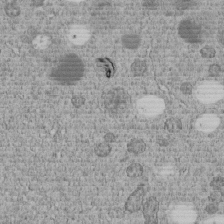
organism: C. elegans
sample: C. elegans embryo early stage